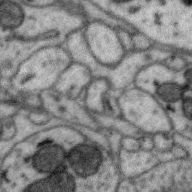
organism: Zebra finch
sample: Brain